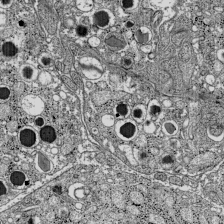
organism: C57BL Mouse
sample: Pancreatic islet